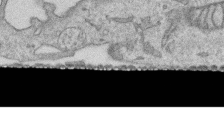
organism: Human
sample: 1205lu cells